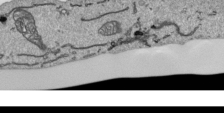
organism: Human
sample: Mitochondria in HCT116 cells